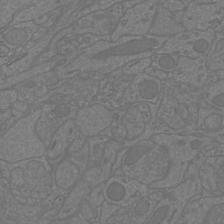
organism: Mouse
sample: Cortical neurons